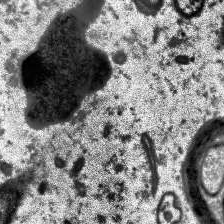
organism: Human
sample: Temporal Lobe